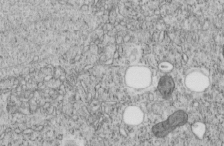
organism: C. elegans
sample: C. elegans embryo early stage